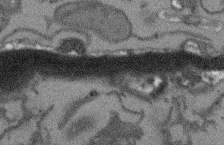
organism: Arabidopsis thaliana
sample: Root tip